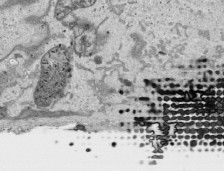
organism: Human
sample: Mitochondria in HCT116 cells